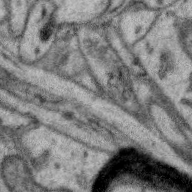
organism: Zebra finch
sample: Brain